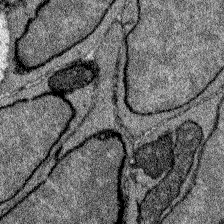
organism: Zebrafish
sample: Larval olfactory bulb